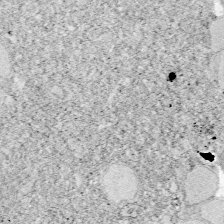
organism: Zebrafish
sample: Whole-Brain